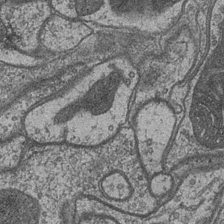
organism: Drosophila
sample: Optic medulla